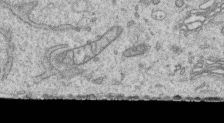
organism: Human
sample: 1205lu cells